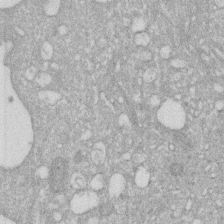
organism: Human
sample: HIV infected U937 cells